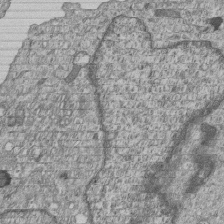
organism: Human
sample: MDA-MB-231 cells